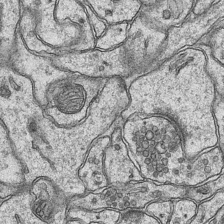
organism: Mouse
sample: CA1 Hippocampus